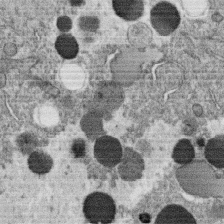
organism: C. elegans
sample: C. elegans oocyte; sperm cells